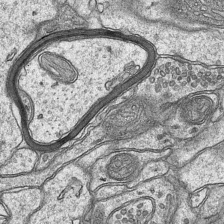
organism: Mouse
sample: CA1 Hippocampus